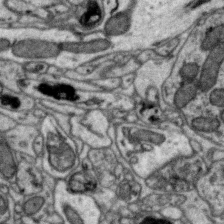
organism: Zebra finch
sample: Brain